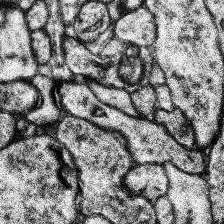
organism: Human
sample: Temporal Lobe